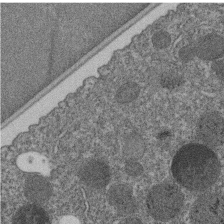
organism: C. elegans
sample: C. elegans embryo early stage